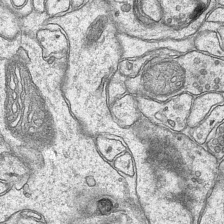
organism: Mouse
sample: CA1 Hippocampus